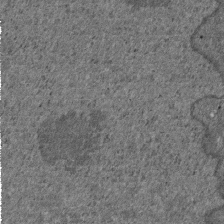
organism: Drosophila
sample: Nephrocyte